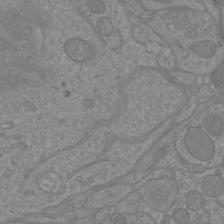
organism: Mouse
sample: Cortical neurons